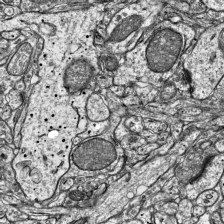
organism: Mouse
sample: Visual Cortex